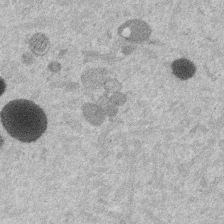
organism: Mouse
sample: Dividing mouse embryo 1 cell stage